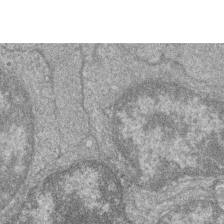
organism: Zebrafish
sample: Cilia; retinal pigment epithelium